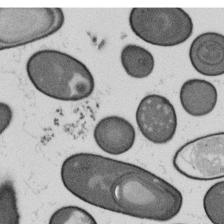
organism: B. subtilis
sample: Bacterial spore